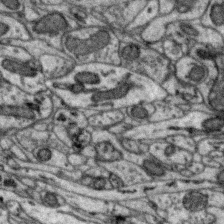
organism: Zebra finch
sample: Brain